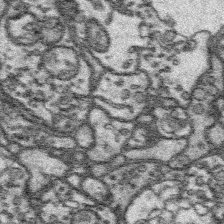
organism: Platynereis dumerilii